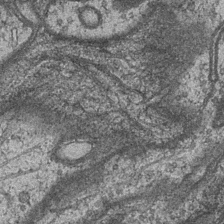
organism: Drosophila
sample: Optic medulla